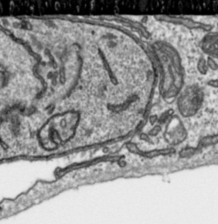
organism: Toxoplasma gondii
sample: Parasites in a vacuole inside a host cell